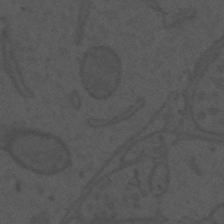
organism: Mouse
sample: Suprachiasmatic nucleus